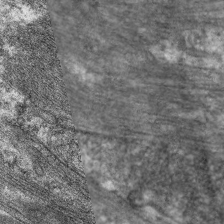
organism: C. elegans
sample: Pharynx